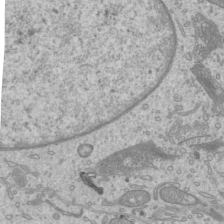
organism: Mouse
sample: Cilia; mouse epididymis